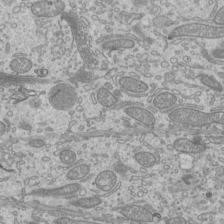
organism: Mouse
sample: Cilia; mouse epididymis